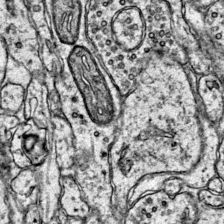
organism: Mouse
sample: Primary visual cortex